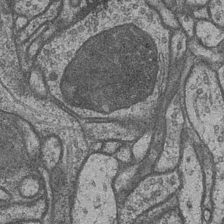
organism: Drosophila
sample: Optic medulla